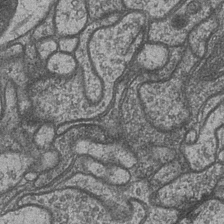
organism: Drosophila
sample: Optic medulla